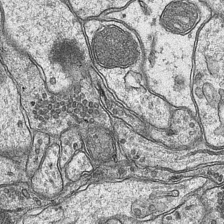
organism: Mouse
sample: CA1 Hippocampus